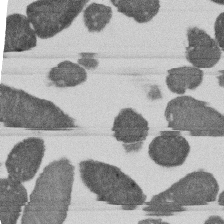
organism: E. coli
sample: Bacterial nucleoid